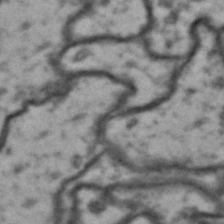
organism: Drosophila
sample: Brain